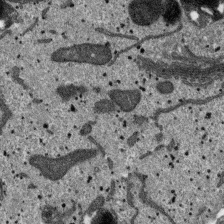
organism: Human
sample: Lung epithelial cells, uninfected (mock) control